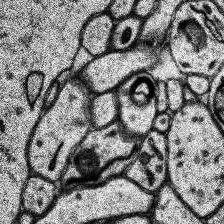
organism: Human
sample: Temporal Lobe